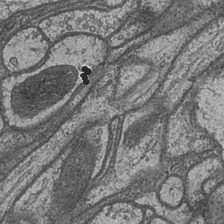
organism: Drosophila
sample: Optic medulla